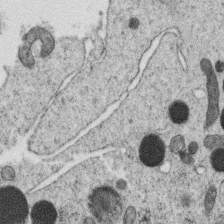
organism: C. elegans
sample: C. elegans oocyte; sperm cells